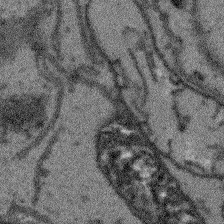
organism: Arabidopsis thaliana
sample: Root tip